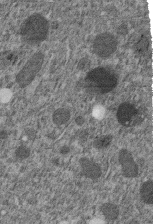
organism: C. elegans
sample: C. elegans embryo early stage